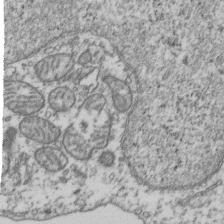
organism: Human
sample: Activated Jurkat CD4+ T cells